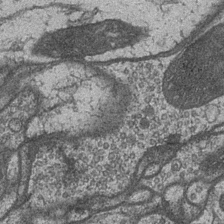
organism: Drosophila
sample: Optic medulla